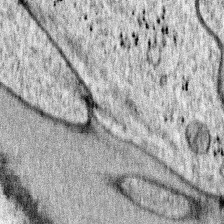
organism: Human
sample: HeLa cells